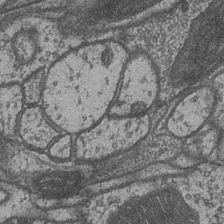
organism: Drosophila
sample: Optic medulla